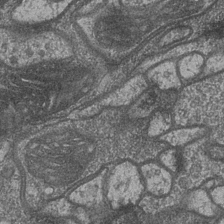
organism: Drosophila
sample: Optic medulla